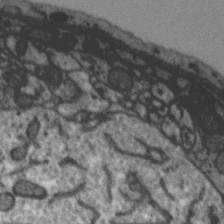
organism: Zebra finch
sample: Brain